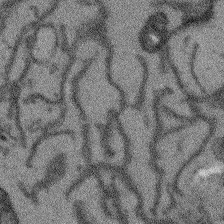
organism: Arabidopsis thaliana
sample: Root tip